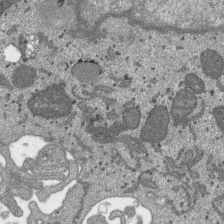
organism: Human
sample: Lung epithelial cells infected with SARS-CoV-2